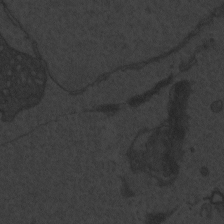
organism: Zebrafish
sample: Macrophage infected with Toxoplasma gondii